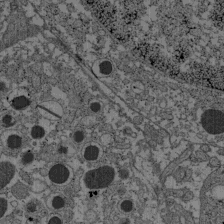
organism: C57BL Mouse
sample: Pancreatic islet